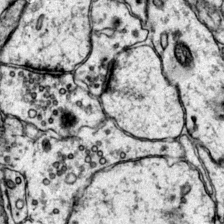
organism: Mouse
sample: Primary visual cortex